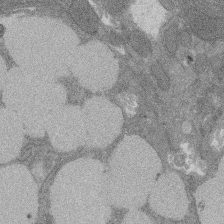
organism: Rat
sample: Salivary granule